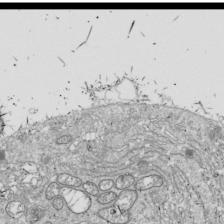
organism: Drosophila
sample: Cell division; meiosis; drosophila spermatocytes